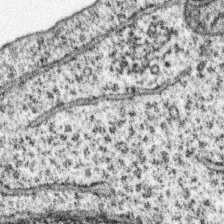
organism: Human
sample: HeLa cells